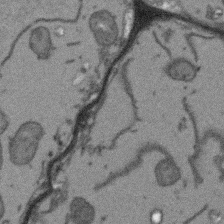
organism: Arabidopsis thaliana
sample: Root tip